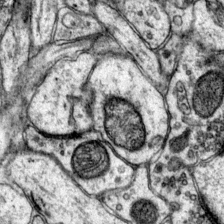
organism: Mouse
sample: Primary visual cortex